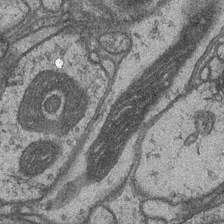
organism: Drosophila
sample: Optic medulla